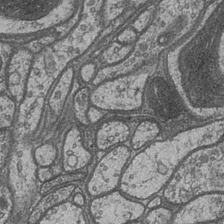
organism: Drosophila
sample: Optic medulla